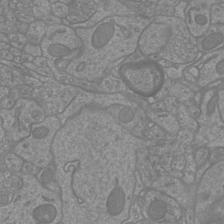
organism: Mouse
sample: Cortical neurons